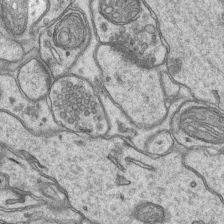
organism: Mouse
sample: CA1 Hippocampus